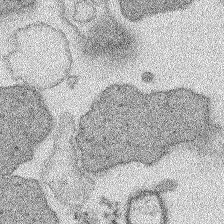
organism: Human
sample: HeLa cells